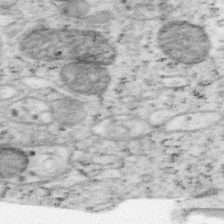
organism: Mouse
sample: OT-I killer T cells with ID8 ovarian cancer cells